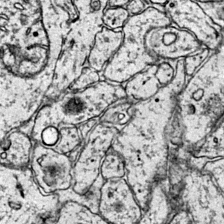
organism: Mouse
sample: Primary visual cortex